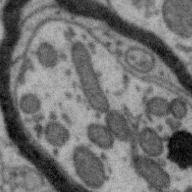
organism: Zebra finch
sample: Brain